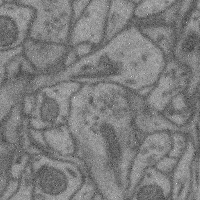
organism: Mouse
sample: Cerebral cortex